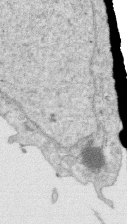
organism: Human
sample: HeLa cell HIV synapse